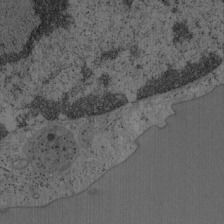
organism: Mouse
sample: OT-I killer T cells with ID8 ovarian cancer cells